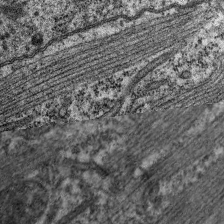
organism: C. elegans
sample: Pharynx